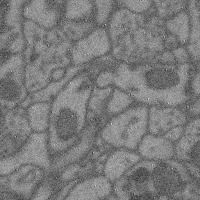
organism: Mouse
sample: Cerebral cortex